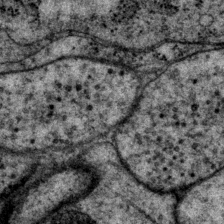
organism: P. pacificus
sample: Pharynx